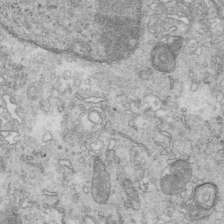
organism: Mouse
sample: Multiciliated cells